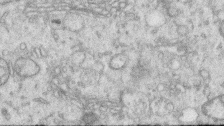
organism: Human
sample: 1205lu cells